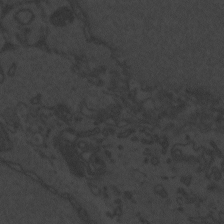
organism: Zebrafish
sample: Macrophage infected with Toxoplasma gondii